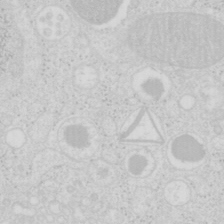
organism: Mouse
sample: Pancreas